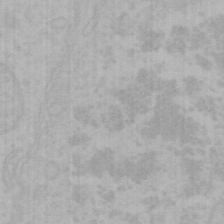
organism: Mouse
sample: Choroid plexus